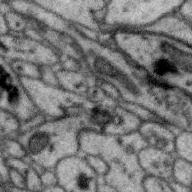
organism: Zebra finch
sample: Brain